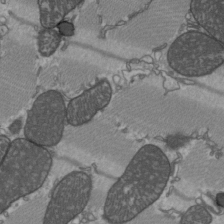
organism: C57BL Mouse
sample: Heart